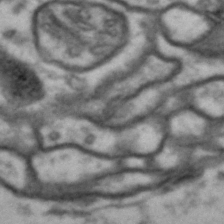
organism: Drosophila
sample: Brain